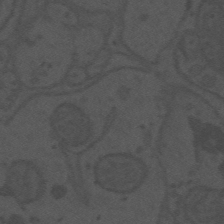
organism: Mouse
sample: Suprachiasmatic nucleus